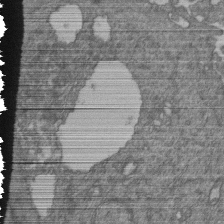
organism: Human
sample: Retinal organoid Rod and Cone cells